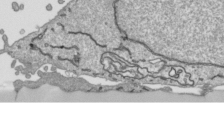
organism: Human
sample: Mitochondria in HCT116 cells